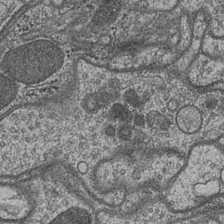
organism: Drosophila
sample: Optic medulla